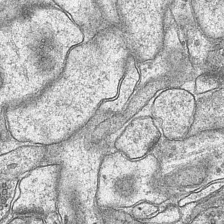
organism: Mouse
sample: CA1 Hippocampus